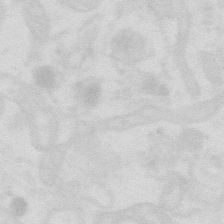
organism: Human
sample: HeLa cells